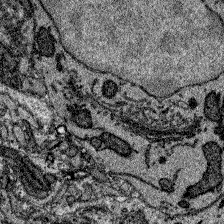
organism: Zebrafish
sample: Larval olfactory bulb